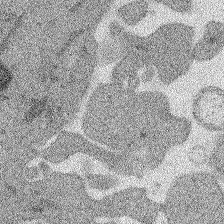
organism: Human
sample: HeLa cells